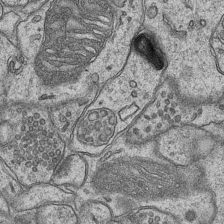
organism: Mouse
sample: CA1 Hippocampus